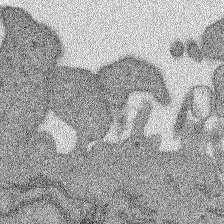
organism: Human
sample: HeLa cells